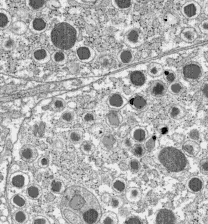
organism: C57BL Mouse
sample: Pancreatic islet